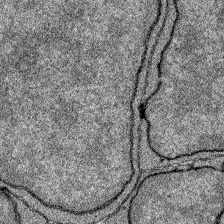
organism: Zebrafish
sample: Larval olfactory bulb